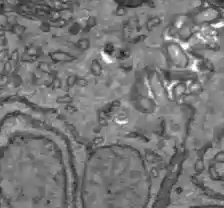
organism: C57BL Mouse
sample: Liver